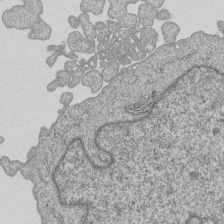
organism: Human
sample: MDA-MB-231 cells